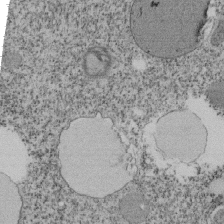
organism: Tetrahymena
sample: Cilia in tetrahymena